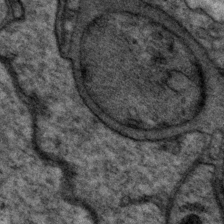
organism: P. pacificus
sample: Pharynx